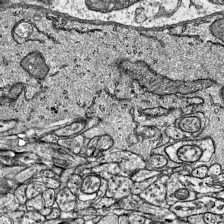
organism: Mouse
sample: Visual Cortex